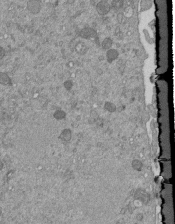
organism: Mouse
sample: ED-1 cell nuclei; centrioles